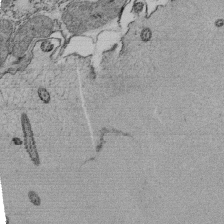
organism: Tetrahymena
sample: Cilia in tetrahymena